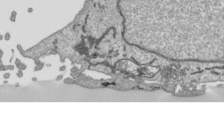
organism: Human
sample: Mitochondria in HCT116 cells